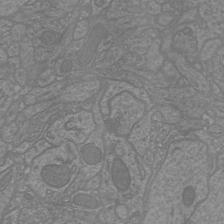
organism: Mouse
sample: Cortical neurons